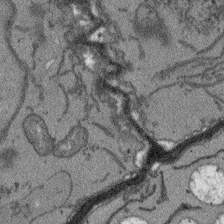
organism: Arabidopsis thaliana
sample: Root tip